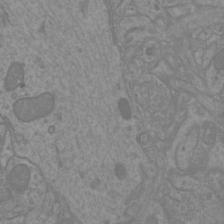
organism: Mouse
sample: Cortical neurons